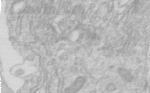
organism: Human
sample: Centriole in RPE cells